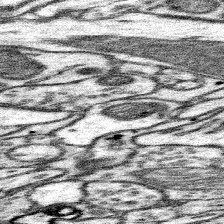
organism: Mouse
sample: Somatosensory cortex neuropil